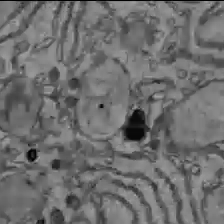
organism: C57BL Mouse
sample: Liver